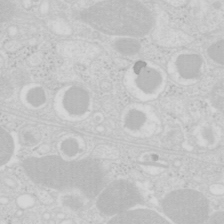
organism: Mouse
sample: Pancreas